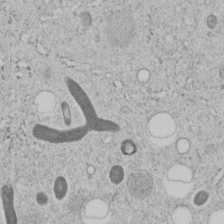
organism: C. elegans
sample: C. elegans embryo early stage